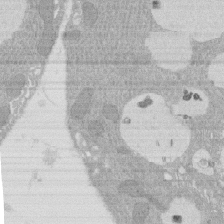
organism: Rat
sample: Salivary granule